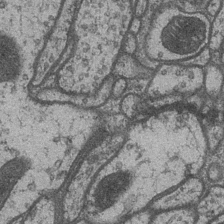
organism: Drosophila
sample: Optic medulla